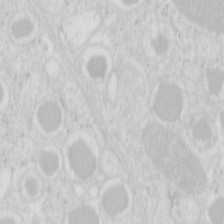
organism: Mouse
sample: Pancreas